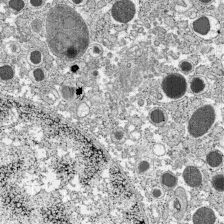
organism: C57BL Mouse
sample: Pancreatic islet